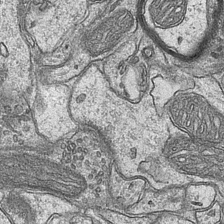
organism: Mouse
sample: CA1 Hippocampus